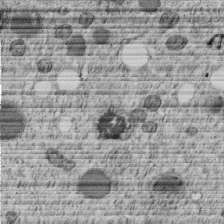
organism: C. elegans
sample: C. elegans embryo early stage